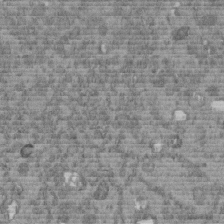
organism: C. elegans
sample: C. elegans embryo early stage